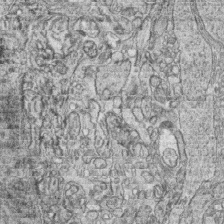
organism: Zebrafish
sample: synaptic ribbons in rod cells and cone cells